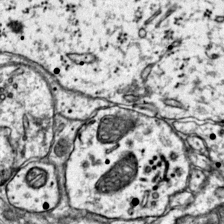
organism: Mouse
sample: Primary visual cortex